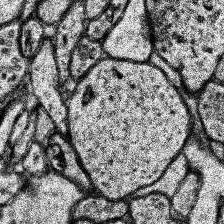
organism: Human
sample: Temporal Lobe